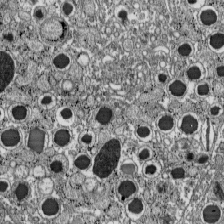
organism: C57BL Mouse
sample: Pancreatic islet